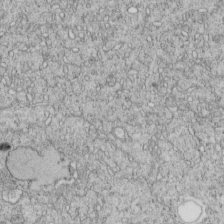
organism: C. elegans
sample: C. elegans embryo early stage